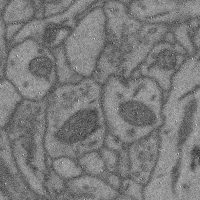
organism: Mouse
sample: Cerebral cortex